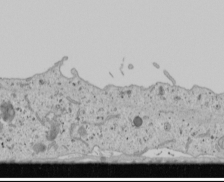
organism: Human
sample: Mitochondria in U2OS cells